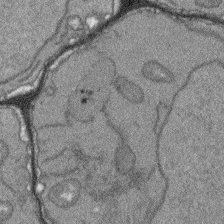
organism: Arabidopsis thaliana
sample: Root tip